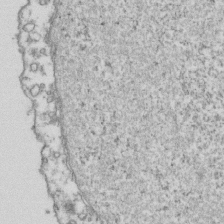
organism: Human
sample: Activated Jurkat CD4+ T cells